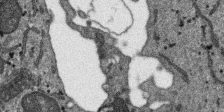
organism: Human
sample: Lung epithelial cells infected with SARS-CoV-2